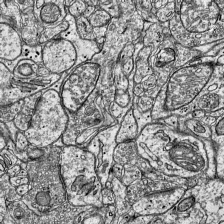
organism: Mouse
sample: Visual Cortex